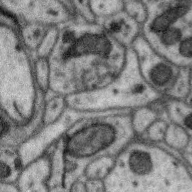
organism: Zebra finch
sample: Brain